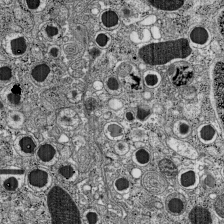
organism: C57BL Mouse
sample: Pancreatic islet